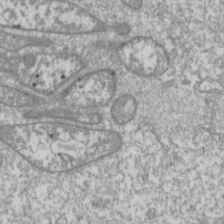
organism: Drosophila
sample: Cell division; meiosis; drosophila spermatocytes